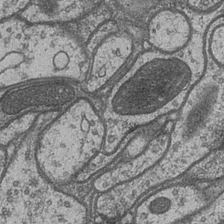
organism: Drosophila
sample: Optic medulla